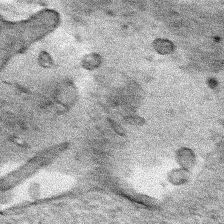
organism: Human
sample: Mitochondria in HCT116 cells